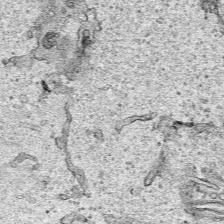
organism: Human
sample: Mitochondria in HCT116 cells